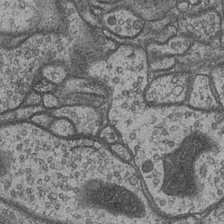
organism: Drosophila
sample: Optic medulla